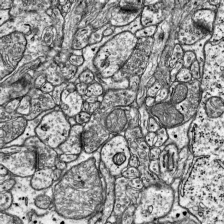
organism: Mouse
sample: Visual Cortex